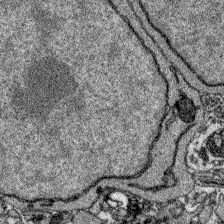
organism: Zebrafish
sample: Larval olfactory bulb